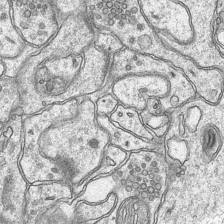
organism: Mouse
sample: CA1 Hippocampus